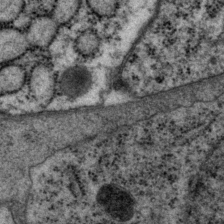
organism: P. pacificus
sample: Pharynx